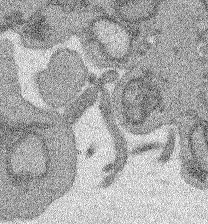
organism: Human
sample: HeLa cells